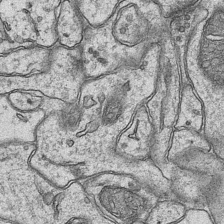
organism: Mouse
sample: CA1 Hippocampus